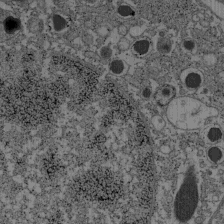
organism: C57BL Mouse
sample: Pancreatic islet